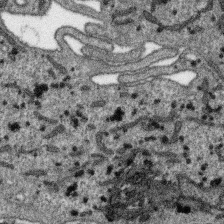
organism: Human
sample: Lung epithelial cells infected with SARS-CoV-2